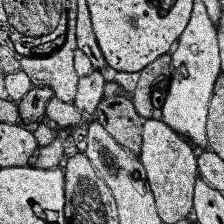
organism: Human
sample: Temporal Lobe